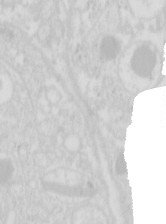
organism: Mouse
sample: Pancreas